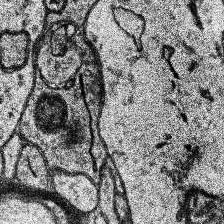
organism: Human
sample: Temporal Lobe